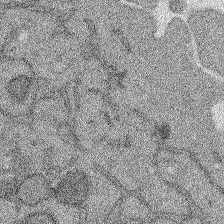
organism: Human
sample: HeLa cells